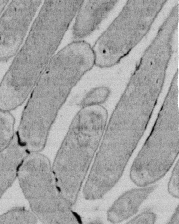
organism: E. coli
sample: Bacterial nucleoid